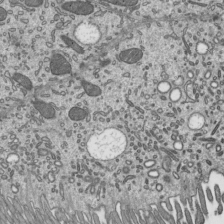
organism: Mouse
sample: Mouse epididymis efferent ductule cilia